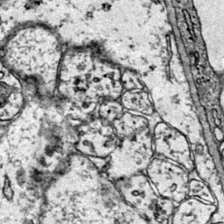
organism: Mouse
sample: Primary visual cortex